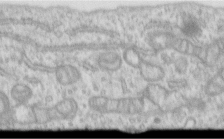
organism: Human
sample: Centriole in RPE cells